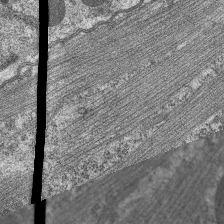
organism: C. elegans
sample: Pharynx